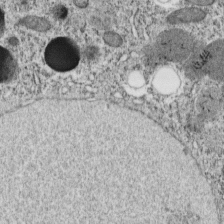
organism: C. elegans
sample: C. elegans embryo early stage